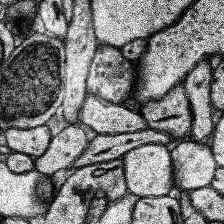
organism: Human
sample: Temporal Lobe